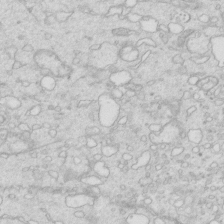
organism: Mouse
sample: Multiciliated cells